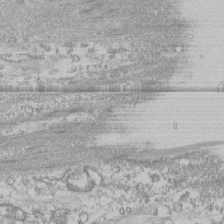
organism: Human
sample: CRL-1474